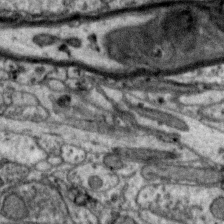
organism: Zebra finch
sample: Brain